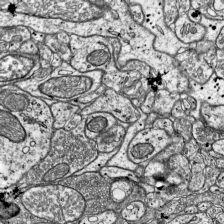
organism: Mouse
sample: Visual Cortex